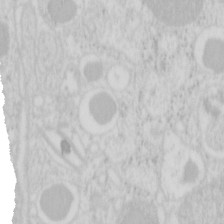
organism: Mouse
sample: Pancreas